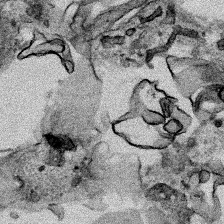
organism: Human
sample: Mitochondria in HCT116 cells